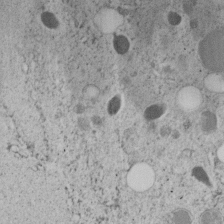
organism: C. elegans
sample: C. elegans embryo early stage